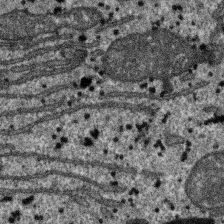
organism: Human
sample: Lung epithelial cells infected with SARS-CoV-2